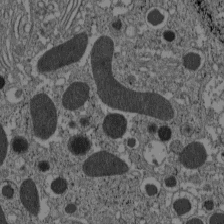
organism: C57BL Mouse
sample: Pancreatic islet